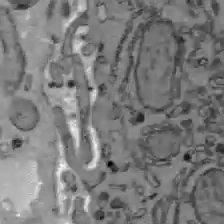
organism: C57BL Mouse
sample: Liver